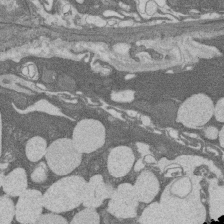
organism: Rat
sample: Salivary granule